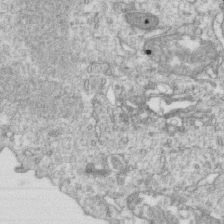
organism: Mouse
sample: Activated OT-1 CD8+ T cells